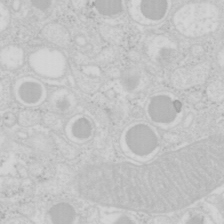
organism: Mouse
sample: Pancreas